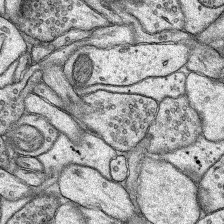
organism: Rat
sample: Hippocampus